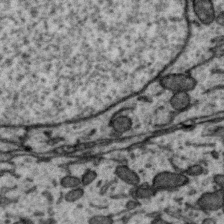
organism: Zebra finch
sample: Brain